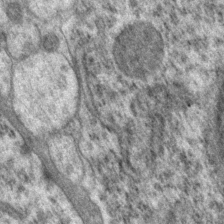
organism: P. pacificus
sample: Pharynx